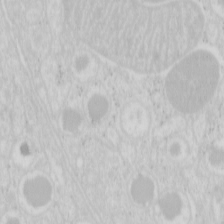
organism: Mouse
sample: Pancreas